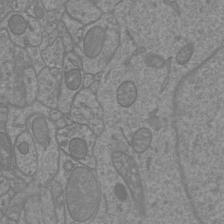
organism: Mouse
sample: Cortical neurons